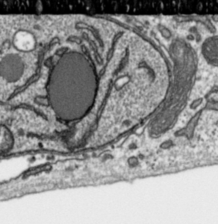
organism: Toxoplasma gondii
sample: Parasites in a vacuole inside a host cell